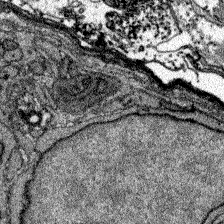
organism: Zebrafish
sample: Larval olfactory bulb